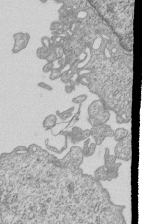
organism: Human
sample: MDA-MB-231 cells